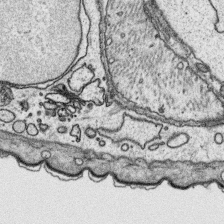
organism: Platynereis dumerilii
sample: Parapodia